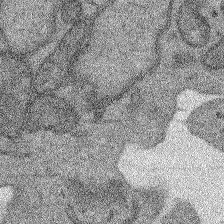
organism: Human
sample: HeLa cells